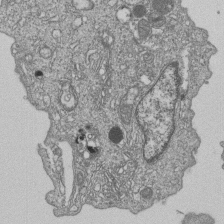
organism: Human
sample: MDA-MB-231 cells